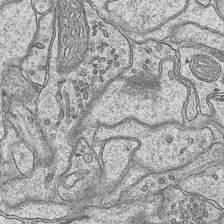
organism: Mouse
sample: CA1 Hippocampus